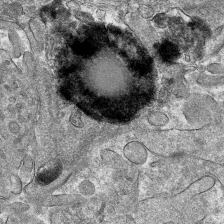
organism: Mouse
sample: Mouse hepatocytes